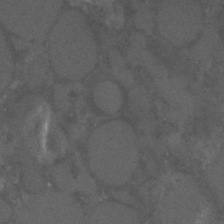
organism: C. elegans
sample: C. elegans embryo